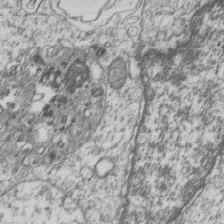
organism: Human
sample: MDA-MB-231 cells